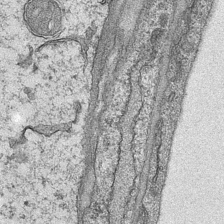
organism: Mouse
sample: CA1 Hippocampus